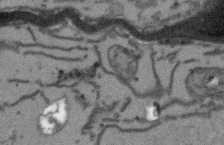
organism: Arabidopsis thaliana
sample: Root tip